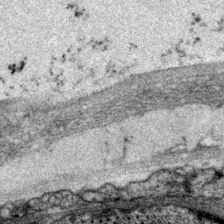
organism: P. pacificus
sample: Pharynx